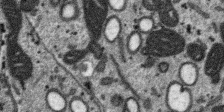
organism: Human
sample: Lung epithelial cells infected with SARS-CoV-2